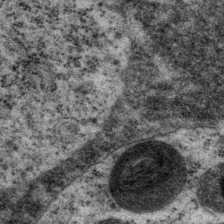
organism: P. pacificus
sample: Pharynx